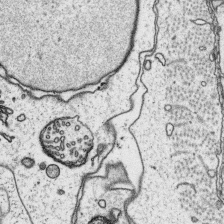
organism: Platynereis dumerilii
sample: Parapodia